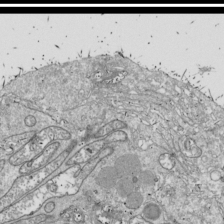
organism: Drosophila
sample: Cell division; meiosis; drosophila spermatocytes